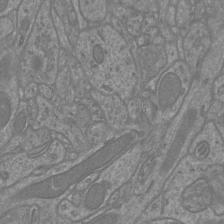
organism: Mouse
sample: Cortical neurons